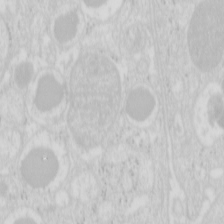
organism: Mouse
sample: Pancreas